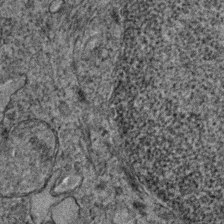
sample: Trachea